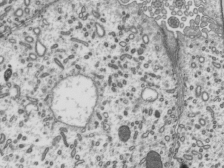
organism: Mouse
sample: Mouse epididymis efferent ductule cilia